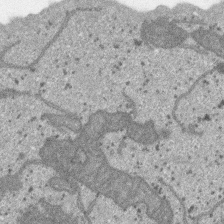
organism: Human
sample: Lung epithelial cells infected with SARS-CoV-2